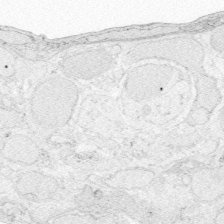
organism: Zebrafish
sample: Whole-Brain